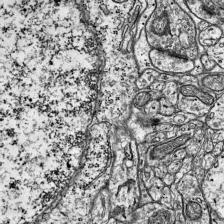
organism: Mouse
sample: Visual Cortex